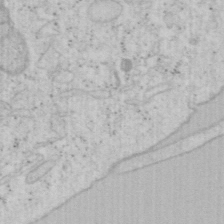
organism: Human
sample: HeLa cells